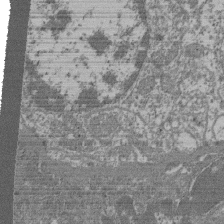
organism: Mouse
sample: Glomerulus